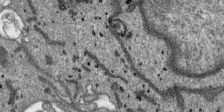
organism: Human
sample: Lung epithelial cells, uninfected (mock) control